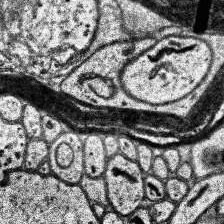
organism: Human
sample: Temporal Lobe